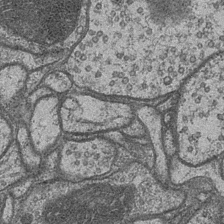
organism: Drosophila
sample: Optic medulla